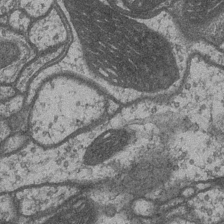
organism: Drosophila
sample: Optic medulla